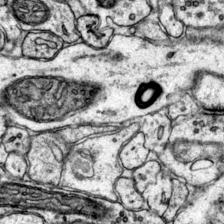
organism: Mouse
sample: Primary visual cortex